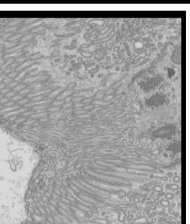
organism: Mouse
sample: Cilia; mouse epididymis